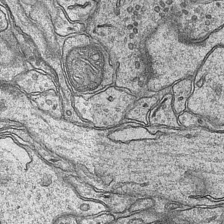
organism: Mouse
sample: CA1 Hippocampus